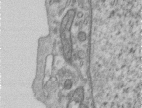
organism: Human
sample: Centriole in RPE cells